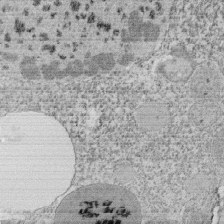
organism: Tetrahymena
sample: Cilia in tetrahymena